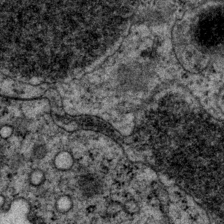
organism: P. pacificus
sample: Pharynx